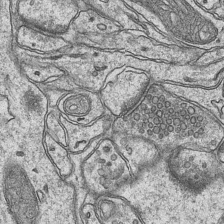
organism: Mouse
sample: CA1 Hippocampus